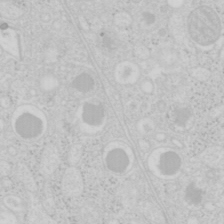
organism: Mouse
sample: Pancreas